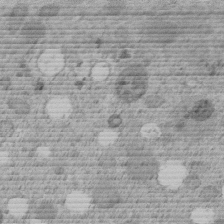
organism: C. elegans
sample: C. elegans embryo early stage